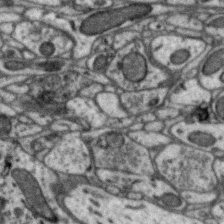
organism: Zebra finch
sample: Brain